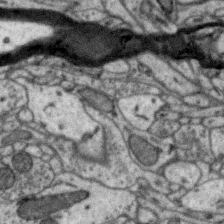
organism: Zebra finch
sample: Brain